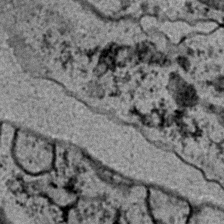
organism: C. elegans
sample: C. elegans embryo